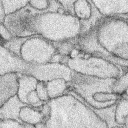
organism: Rabbit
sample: Retina